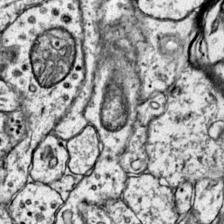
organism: Mouse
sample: Primary visual cortex